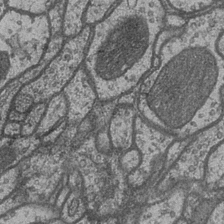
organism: Drosophila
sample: Optic medulla